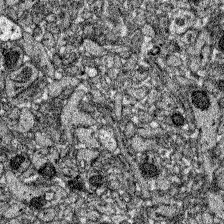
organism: Zebrafish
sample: Larval olfactory bulb